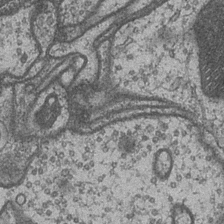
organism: Drosophila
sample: Optic medulla